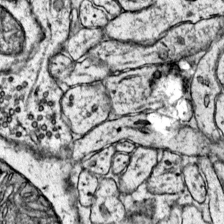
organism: Mouse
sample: Primary visual cortex